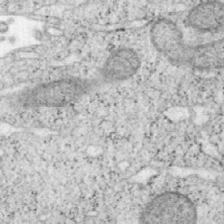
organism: Mouse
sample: OT-I killer T cells with ID8 ovarian cancer cells